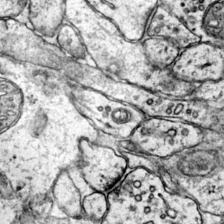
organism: Mouse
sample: Primary visual cortex